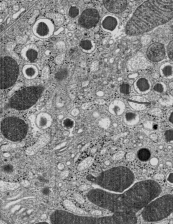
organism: C57BL Mouse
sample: Pancreatic islet